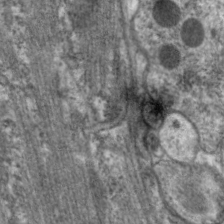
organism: C. elegans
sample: Pharynx